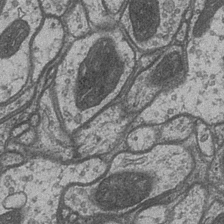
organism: Drosophila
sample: Optic medulla